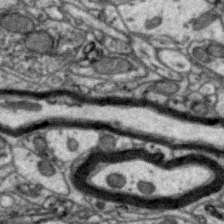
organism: Zebra finch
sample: Brain